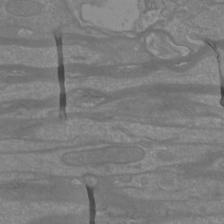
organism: Mouse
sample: Cortical neurons